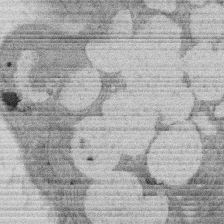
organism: Rat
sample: Salivary granule